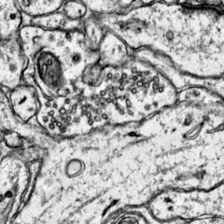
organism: Mouse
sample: Primary visual cortex